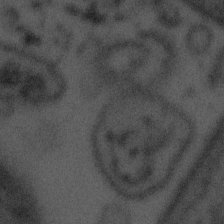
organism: Tuwongella immobilis